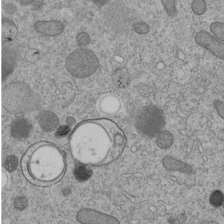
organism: C. elegans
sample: C. elegans embryo early stage